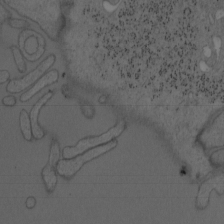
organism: Mouse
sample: OT-I killer T cells with ID8 ovarian cancer cells